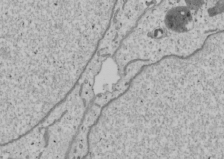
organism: Human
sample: Mitochondria in U2OS cells